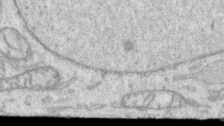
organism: Human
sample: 1205lu cells